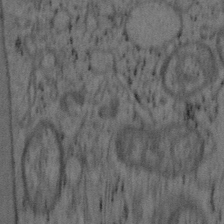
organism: Human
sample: HeLa cells